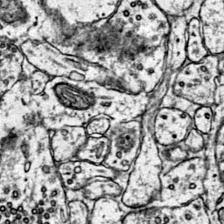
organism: Mouse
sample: Primary visual cortex